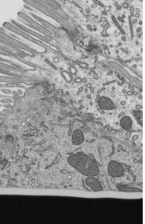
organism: Mouse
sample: Mouse epididymis efferent ductule cilia